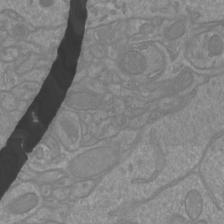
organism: Mouse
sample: Cortical neurons